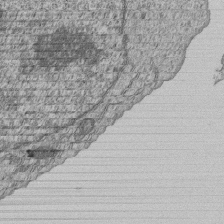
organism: Human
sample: MDA-MB-231 cells